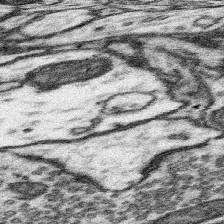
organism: Mouse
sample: Somatosensory cortex neuropil